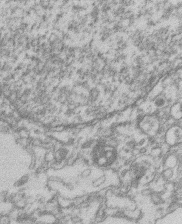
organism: Mouse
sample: T cell stromal cell synapse